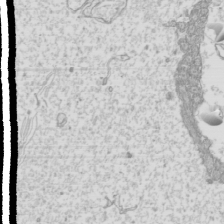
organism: Mouse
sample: Cilia; mouse epididymis